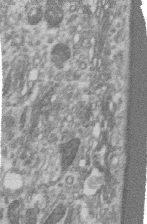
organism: Human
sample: Centriole in RPE cells